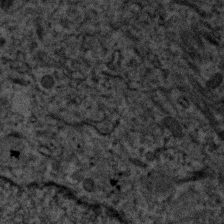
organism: Human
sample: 1205lu cells